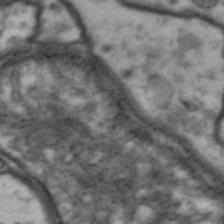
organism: Drosophila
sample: Brain